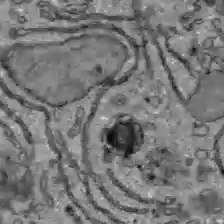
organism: C57BL Mouse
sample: Liver